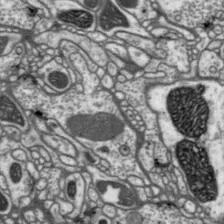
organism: Drosophila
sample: Protocerebral bridge